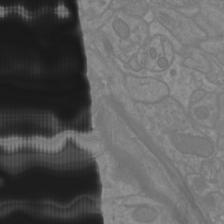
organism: Mouse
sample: Cortical neurons